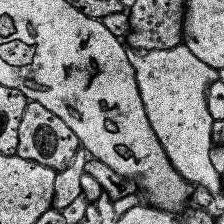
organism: Human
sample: Temporal Lobe